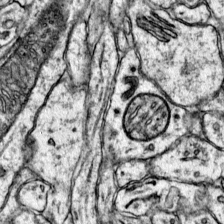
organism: Mouse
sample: Primary visual cortex